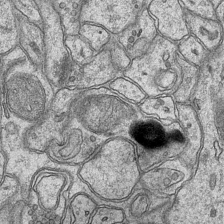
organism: Mouse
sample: CA1 Hippocampus